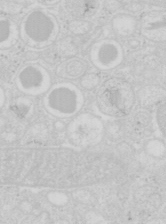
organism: Mouse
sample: Pancreas